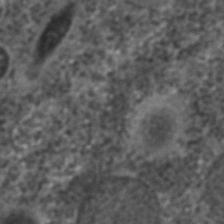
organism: C. elegans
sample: C. elegans embryo